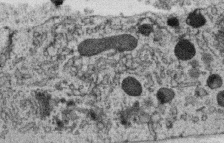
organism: C. elegans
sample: C. elegans oocyte; sperm cells